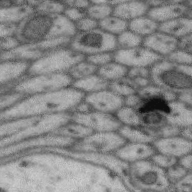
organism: Zebra finch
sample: Brain